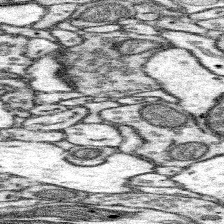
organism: Mouse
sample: Somatosensory cortex neuropil